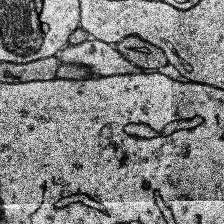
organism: Human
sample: Temporal Lobe